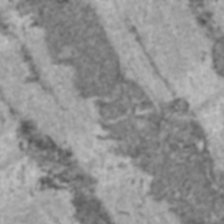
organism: C57BL Mouse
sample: Heart